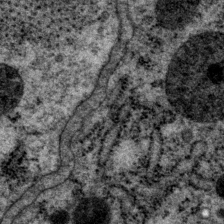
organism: P. pacificus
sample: Pharynx